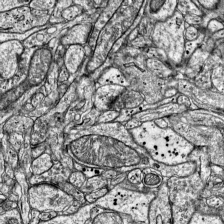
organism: Mouse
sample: Visual Cortex